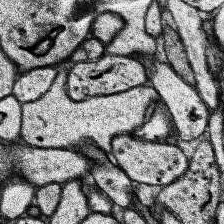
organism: Human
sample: Temporal Lobe